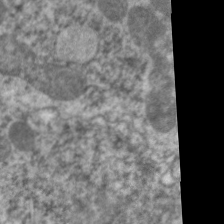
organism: C. elegans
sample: Pharynx